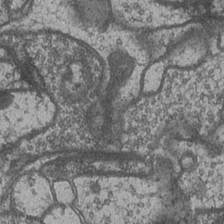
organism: Drosophila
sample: Optic medulla